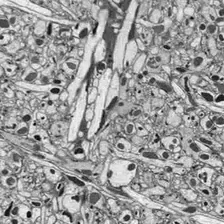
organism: Drosophila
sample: Optic lobe